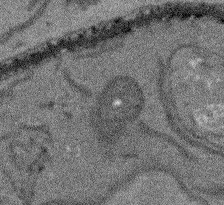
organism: Arabidopsis thaliana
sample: Root tip